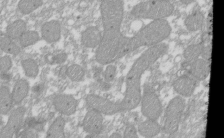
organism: Xenopus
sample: Cilia; centrioles in frog embryo cells